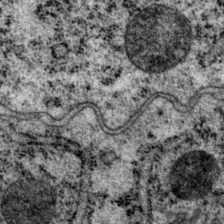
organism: P. pacificus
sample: Pharynx